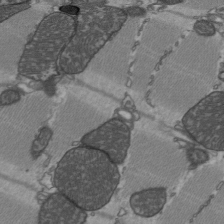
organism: C57BL Mouse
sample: Heart